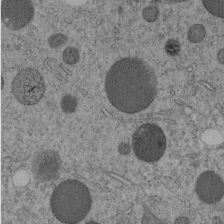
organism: C. elegans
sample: C. elegans embryo early stage